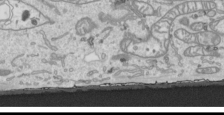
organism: Human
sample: Mitochondria in HCT116 cells